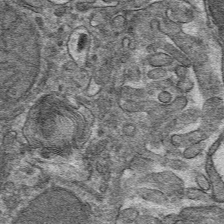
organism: Mouse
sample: Mouse hepatocytes